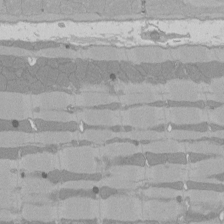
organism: Rat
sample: Left ventricle